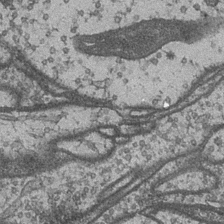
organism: Drosophila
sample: Optic medulla